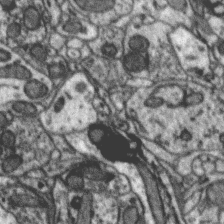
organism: Zebra finch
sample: Brain